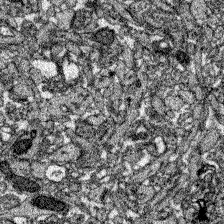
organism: Zebrafish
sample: Larval olfactory bulb